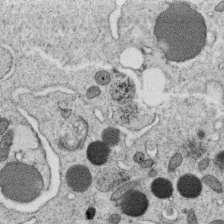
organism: C. elegans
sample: C. elegans oocyte; sperm cells